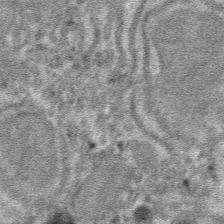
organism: Mouse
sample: Mouse hepatocytes